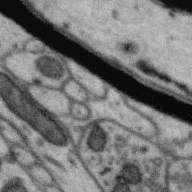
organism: Zebra finch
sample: Brain